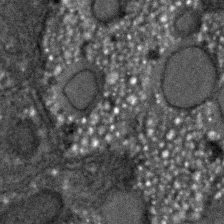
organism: C. elegans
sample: C. elegans embryo